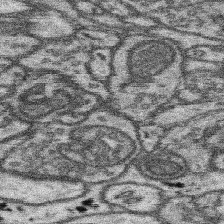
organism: Mouse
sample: Somatosensory cortex neuropil